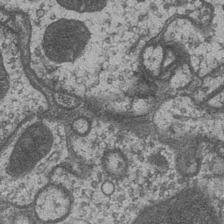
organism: Drosophila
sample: Optic medulla